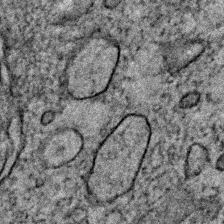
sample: Trachea